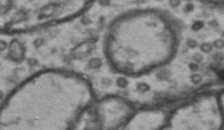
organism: Drosophila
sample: Brain